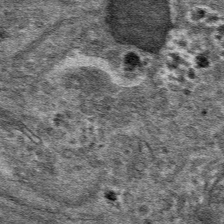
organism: Mouse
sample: Mouse hepatocytes